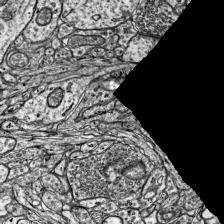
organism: Mouse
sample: Visual Cortex